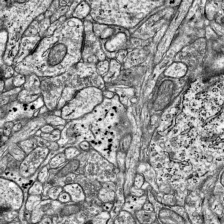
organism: Mouse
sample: Visual Cortex